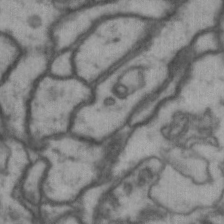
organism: Drosophila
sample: Brain